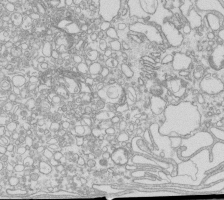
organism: Mouse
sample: Macrophages